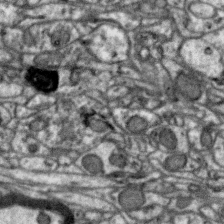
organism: Zebra finch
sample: Brain